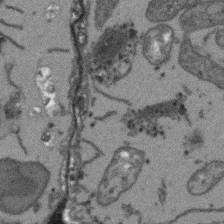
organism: Arabidopsis thaliana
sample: Root tip